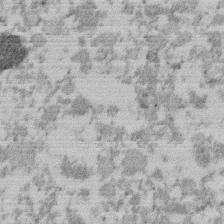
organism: Mouse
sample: Dividing mouse embryo 1 cell stage